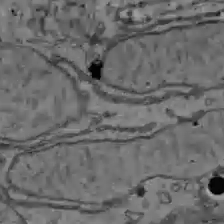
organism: C57BL Mouse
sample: Liver